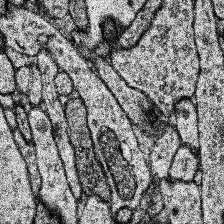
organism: Human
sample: Temporal Lobe